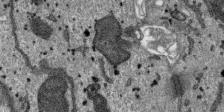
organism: Human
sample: Lung epithelial cells, uninfected (mock) control